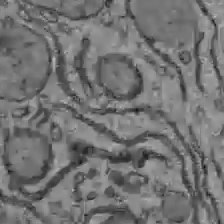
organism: C57BL Mouse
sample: Liver